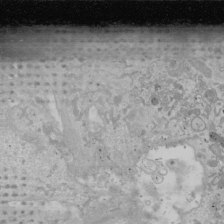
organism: Human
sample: Mitochondria in U2OS cells